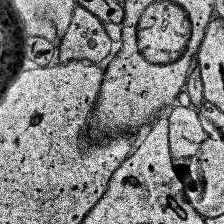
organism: Human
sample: Temporal Lobe